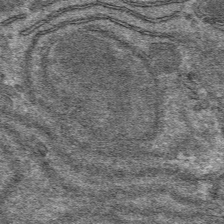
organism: Mouse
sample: Mouse hepatocytes